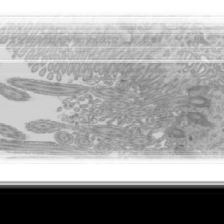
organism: Mouse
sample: Cilia; mouse epididymis